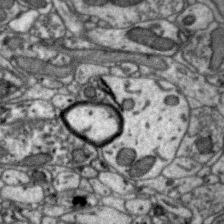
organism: Zebra finch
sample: Brain